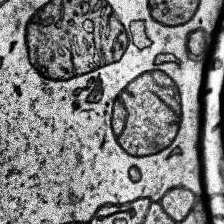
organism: Human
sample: Temporal Lobe